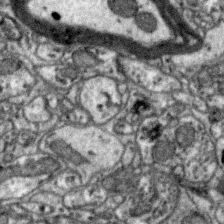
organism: Zebra finch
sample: Brain